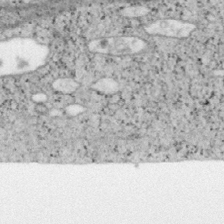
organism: Mouse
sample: OT-I killer T cells with ID8 ovarian cancer cells